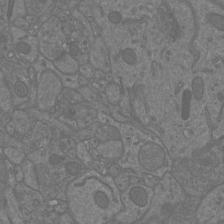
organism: Mouse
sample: Cortical neurons